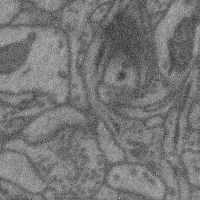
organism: Mouse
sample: Cerebral cortex